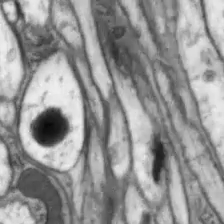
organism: Drosophila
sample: Optic lobe